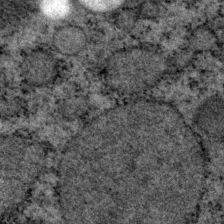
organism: P. pacificus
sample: Pharynx